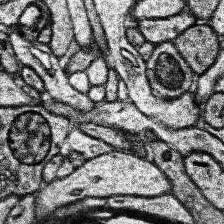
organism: Human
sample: Temporal Lobe